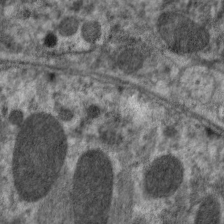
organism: C. elegans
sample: Pharynx